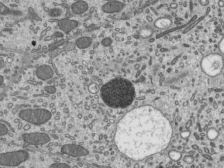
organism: Mouse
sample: Mouse epididymis efferent ductule cilia